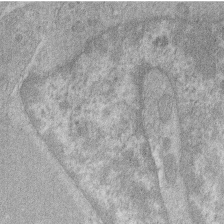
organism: Human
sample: Macrophage cells